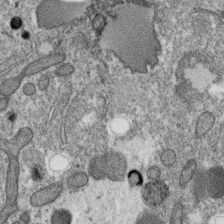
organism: C. elegans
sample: C. elegans oocyte; sperm cells